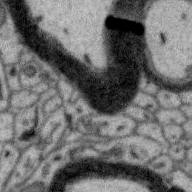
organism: Zebra finch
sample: Brain